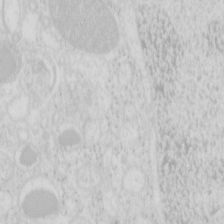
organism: Mouse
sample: Pancreas